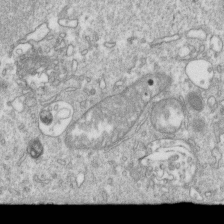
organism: Mouse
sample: Activated OT-1 CD8+ T cells